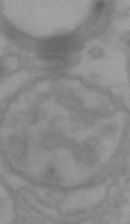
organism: Drosophila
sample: Brain